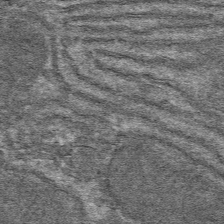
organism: Mouse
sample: Mouse hepatocytes